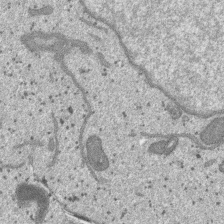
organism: Human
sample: Lung epithelial cells infected with SARS-CoV-2